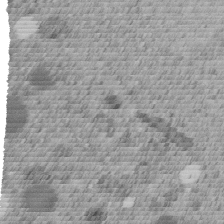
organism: C. elegans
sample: C. elegans embryo early stage